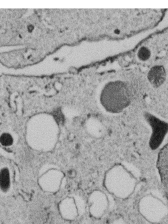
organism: C. elegans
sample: C. elegans embryo early stage